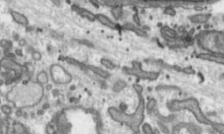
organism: Toxoplasma gondii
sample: Parasites in a vacuole inside a host cell